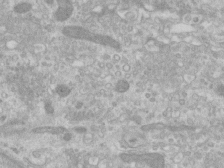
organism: Human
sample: Centriole in RPE cells